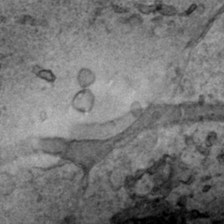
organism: Human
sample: Mitochondria in HCT116 cells